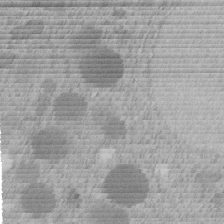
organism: C. elegans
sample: C. elegans embryo early stage